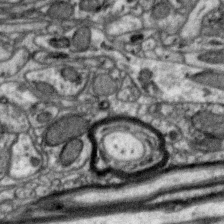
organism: Zebra finch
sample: Brain